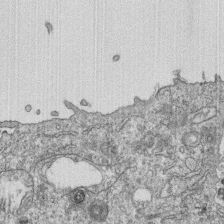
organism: Human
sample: HeLa cell HIV synapse